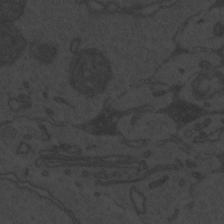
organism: Zebrafish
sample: Macrophage infected with Toxoplasma gondii